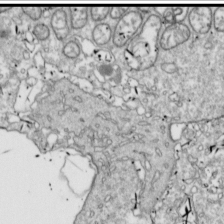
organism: Drosophila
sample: Cell division; meiosis; drosophila spermatocytes